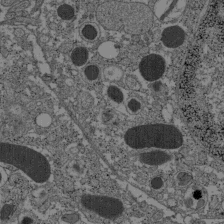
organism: C57BL Mouse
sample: Pancreatic islet